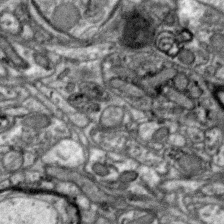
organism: Zebra finch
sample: Brain